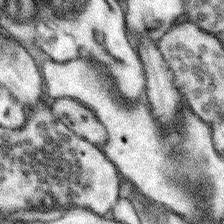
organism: Mouse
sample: Somatosensory cortex neuropil